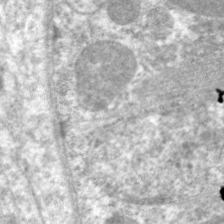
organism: C. elegans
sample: Pharynx